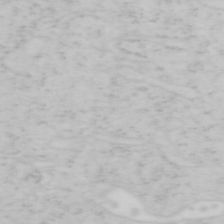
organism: Mouse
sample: OT-I killer T cells with ID8 ovarian cancer cells